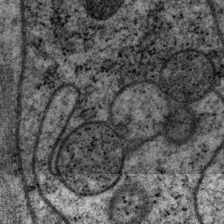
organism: P. pacificus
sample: Pharynx